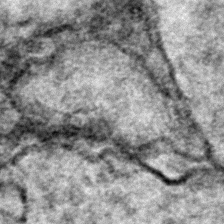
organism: Zebrafish